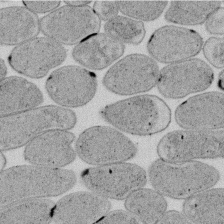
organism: E. coli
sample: Bacterial nucleoid